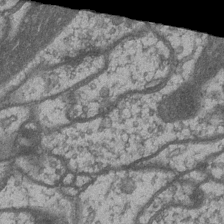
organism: Drosophila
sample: Optic medulla